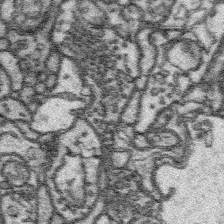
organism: Platynereis dumerilii